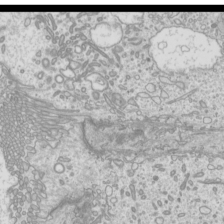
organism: Mouse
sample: Cilia; mouse epididymis